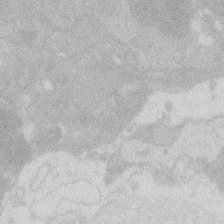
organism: Zebrafish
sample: Macrophage